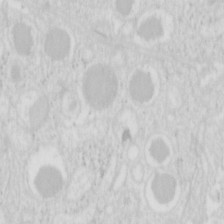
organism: Mouse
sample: Pancreas